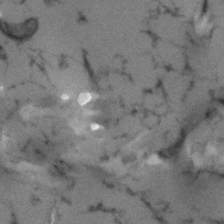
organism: Human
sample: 1205lu cells